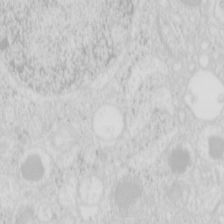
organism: Mouse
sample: Pancreas